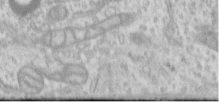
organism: Human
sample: Centriole in RPE cells